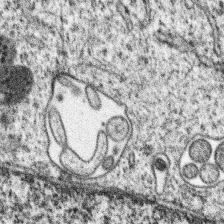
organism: Human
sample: HeLa cells